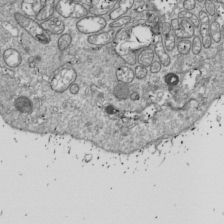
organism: Drosophila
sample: Cell division; meiosis; drosophila spermatocytes